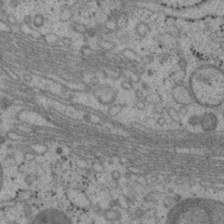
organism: Human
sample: HeLa cells